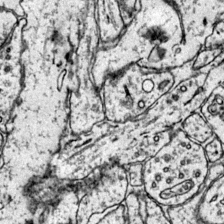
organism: Mouse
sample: Primary visual cortex